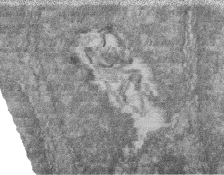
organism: Zebrafish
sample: Cilia; retinal pigment epithelium